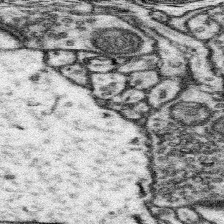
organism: Mouse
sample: Somatosensory cortex neuropil